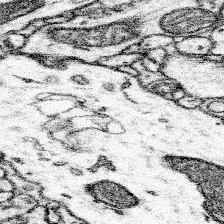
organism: Mouse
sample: Somatosensory cortex neuropil